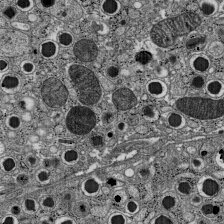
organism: C57BL Mouse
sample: Pancreatic islet